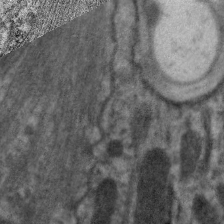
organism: C. elegans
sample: Pharynx